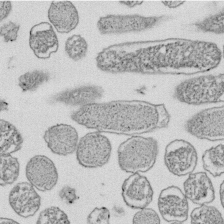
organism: E. coli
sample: Bacterial nucleoid